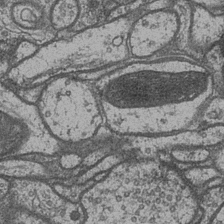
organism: Drosophila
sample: Optic medulla